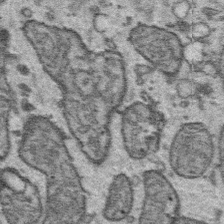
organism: Platynereis dumerilii